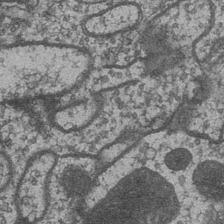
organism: Drosophila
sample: Optic medulla